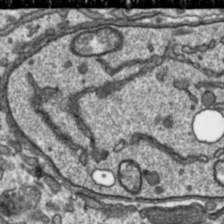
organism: Toxoplasma gondii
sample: Parasites in a vacuole inside a host cell